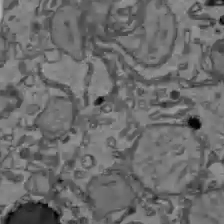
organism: C57BL Mouse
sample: Liver